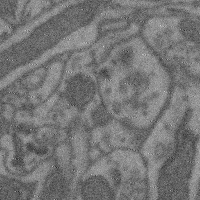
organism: Mouse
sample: Cerebral cortex